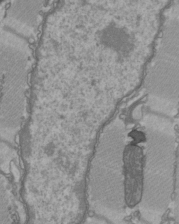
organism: C57BL Mouse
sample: Heart